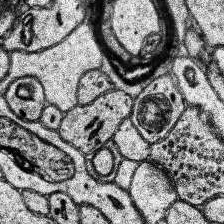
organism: Human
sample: Temporal Lobe